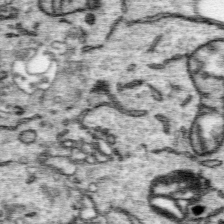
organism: Human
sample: HeLa cells